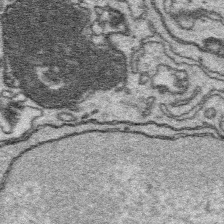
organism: Platynereis dumerilii